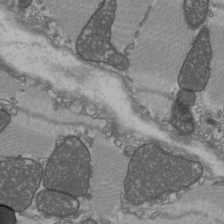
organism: C57BL Mouse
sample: Heart